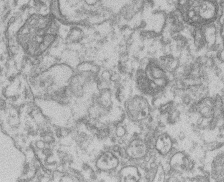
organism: Mouse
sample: T cell stromal cell synapse